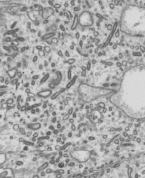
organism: Mouse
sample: Mouse epididymis efferent ductule cilia